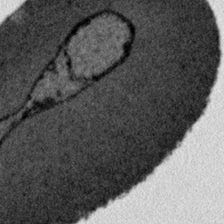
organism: Plasmodium falciparum